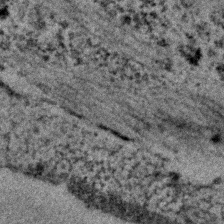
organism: C. elegans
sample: C. elegans embryo